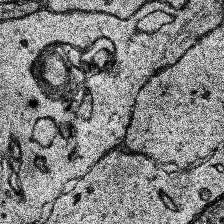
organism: Human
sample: Temporal Lobe